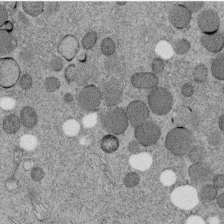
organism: C. elegans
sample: C. elegans embryo early stage